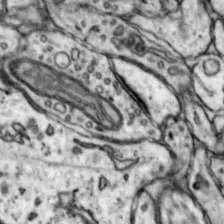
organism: Mouse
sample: Nucleus accumbens